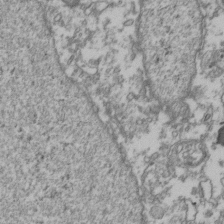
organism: Human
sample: Activated Jurkat CD4+ T cells